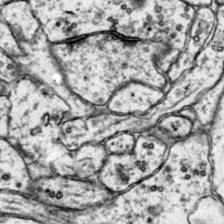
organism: Mouse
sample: Primary visual cortex